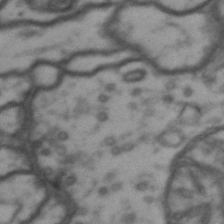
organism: Drosophila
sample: Brain